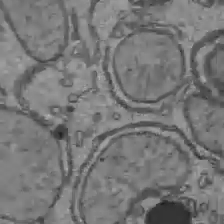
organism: C57BL Mouse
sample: Liver